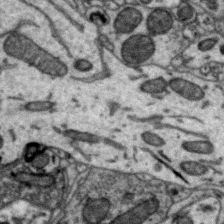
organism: Zebra finch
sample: Brain